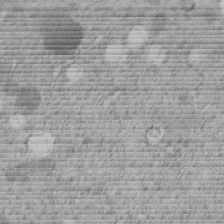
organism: C. elegans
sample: C. elegans embryo early stage